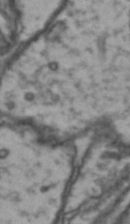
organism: Drosophila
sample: Brain